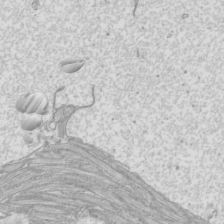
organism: Mouse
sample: Cilia; mouse epididymis